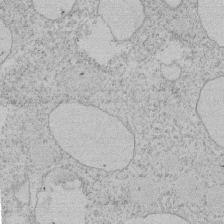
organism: Tetrahymena